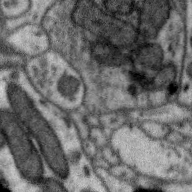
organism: Zebra finch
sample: Brain